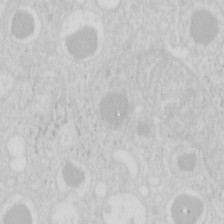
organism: Mouse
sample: Pancreas